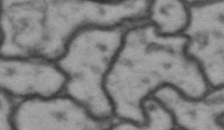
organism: Drosophila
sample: Brain